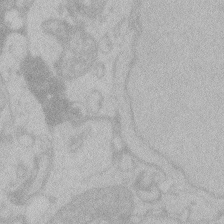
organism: Zebrafish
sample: Macrophage infected with Toxoplasma gondii